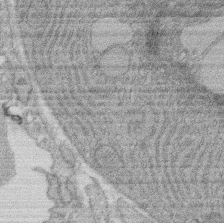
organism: Rat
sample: Salivary granule